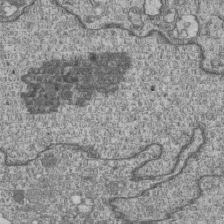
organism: Human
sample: MDA-MB-231 cells